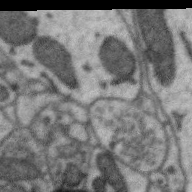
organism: Zebra finch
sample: Brain